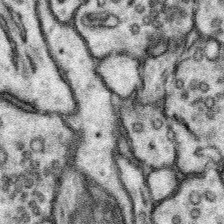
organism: Mouse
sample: Somatosensory cortex neuropil